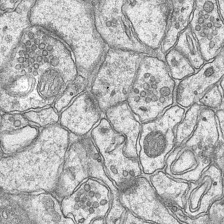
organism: Mouse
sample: CA1 Hippocampus